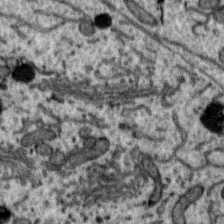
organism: Zebra finch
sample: Brain